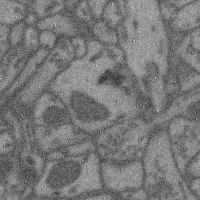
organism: Mouse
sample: Cerebral cortex